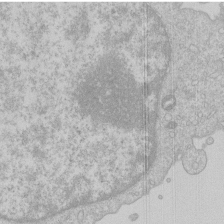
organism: Human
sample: Macrophage cells